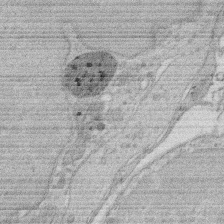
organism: Rat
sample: Salivary granule